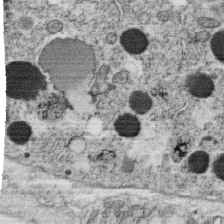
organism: C. elegans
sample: C. elegans oocyte; sperm cells